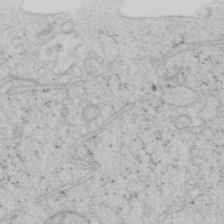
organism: Human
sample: HeLa cells